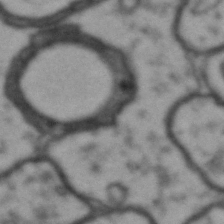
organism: Drosophila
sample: Brain